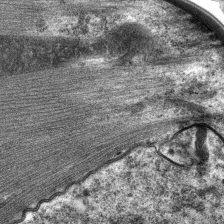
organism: C. elegans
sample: Pharynx